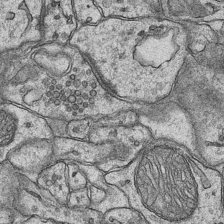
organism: Mouse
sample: CA1 Hippocampus